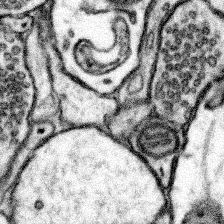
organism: Mouse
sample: Somatosensory cortex neuropil